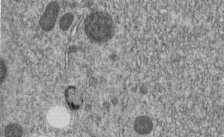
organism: C. elegans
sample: C. elegans embryo early stage